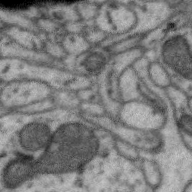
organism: Zebra finch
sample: Brain